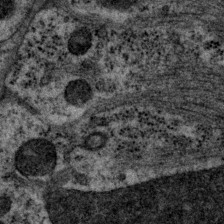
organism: P. pacificus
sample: Pharynx